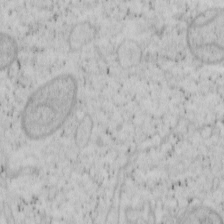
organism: Human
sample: HeLa cells